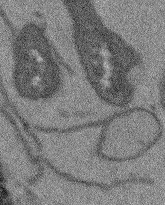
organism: Arabidopsis thaliana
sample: Root tip